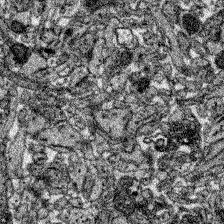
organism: Zebrafish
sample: Larval olfactory bulb